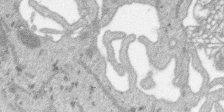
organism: Human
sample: Lung epithelial cells infected with SARS-CoV-2